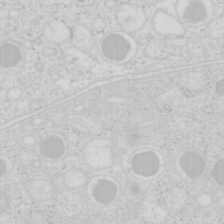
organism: Mouse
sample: Pancreas